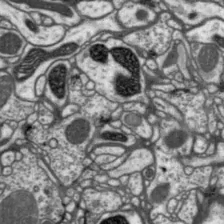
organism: Drosophila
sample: Protocerebral bridge